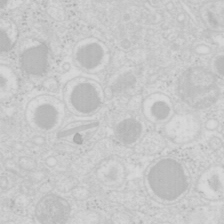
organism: Mouse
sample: Pancreas